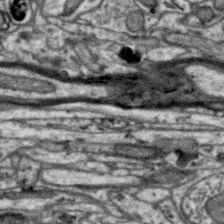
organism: Zebra finch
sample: Brain